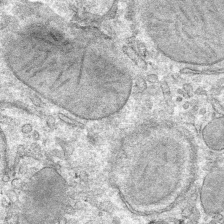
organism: Mouse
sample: Mouse hepatocytes